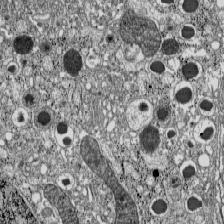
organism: C57BL Mouse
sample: Pancreatic islet